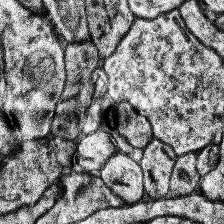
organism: Human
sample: Temporal Lobe